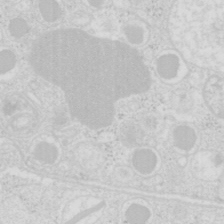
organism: Mouse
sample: Pancreas